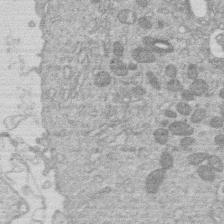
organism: Human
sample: Macrophage cells